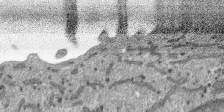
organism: Human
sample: Lung epithelial cells infected with SARS-CoV-2